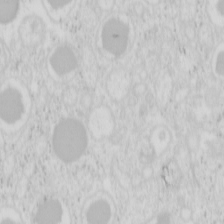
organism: Mouse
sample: Pancreas